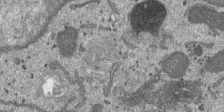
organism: Human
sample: Lung epithelial cells infected with SARS-CoV-2